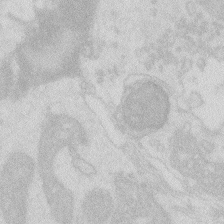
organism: Zebrafish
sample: Macrophage